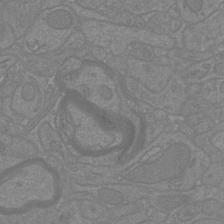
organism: Mouse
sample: Cortical neurons